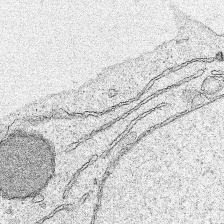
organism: Human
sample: Mitochondria in HCT116 cells